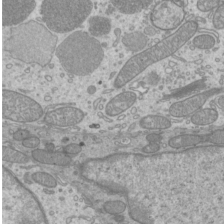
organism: Mouse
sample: Cilia; mouse epididymis